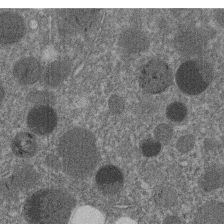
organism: C. elegans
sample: C. elegans embryo early stage